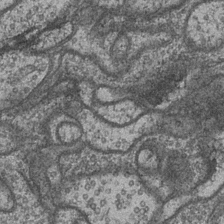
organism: Drosophila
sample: Optic medulla